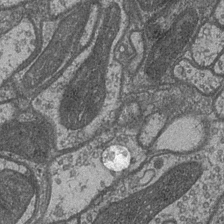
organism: Drosophila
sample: Optic medulla